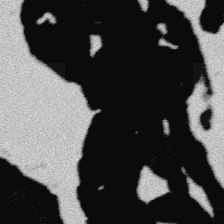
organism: Platynereis dumerilii